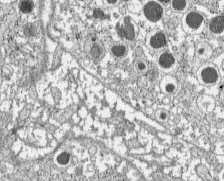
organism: C57BL Mouse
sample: Pancreatic islet